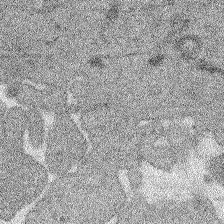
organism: Human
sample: HeLa cells